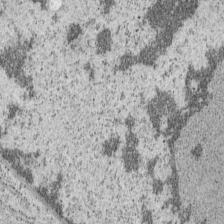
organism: Mouse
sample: OT-I killer T cells with ID8 ovarian cancer cells